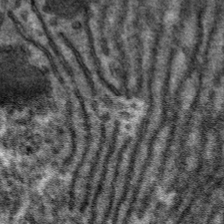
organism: Mouse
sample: Mouse hepatocytes